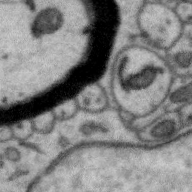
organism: Zebra finch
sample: Brain